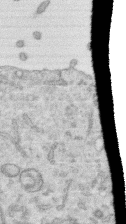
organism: Human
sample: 1205lu cells